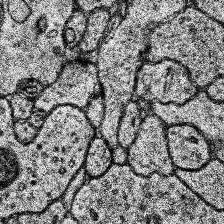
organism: Human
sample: Temporal Lobe